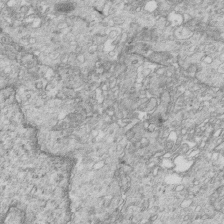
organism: Mouse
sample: Multiciliated cells